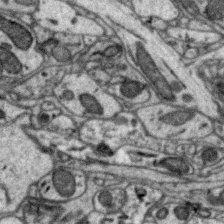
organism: Zebra finch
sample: Brain